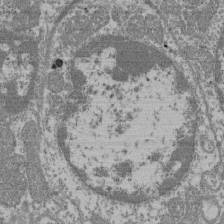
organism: Mouse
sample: Glomerulus